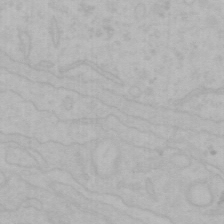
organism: Mouse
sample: Choroid plexus